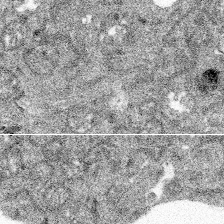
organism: Spongilla lacustris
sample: Multiple